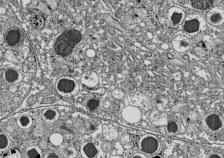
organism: C57BL Mouse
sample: Pancreatic islet